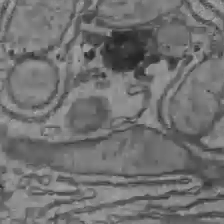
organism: C57BL Mouse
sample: Liver